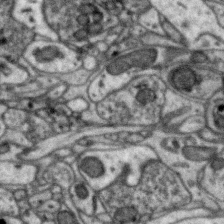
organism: Zebra finch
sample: Brain